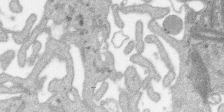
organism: Human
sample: Lung epithelial cells infected with SARS-CoV-2